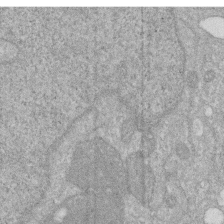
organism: Human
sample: HIV infected U937 cells